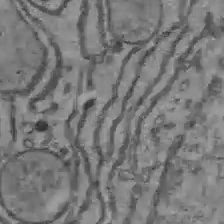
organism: C57BL Mouse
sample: Liver